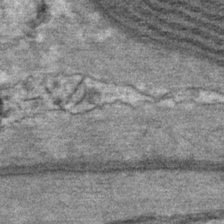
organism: Mouse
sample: Mouse Salivary gland